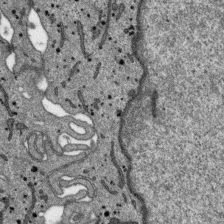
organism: Human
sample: Lung epithelial cells, uninfected (mock) control